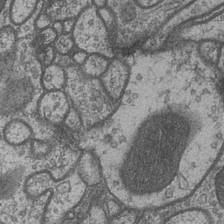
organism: Drosophila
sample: Optic medulla